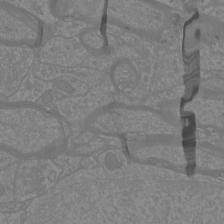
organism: Mouse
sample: Cortical neurons